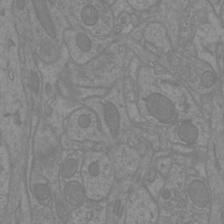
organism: Mouse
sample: Cortical neurons